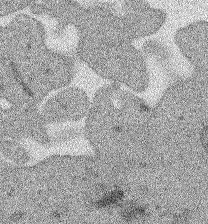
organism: Human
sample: HeLa cells